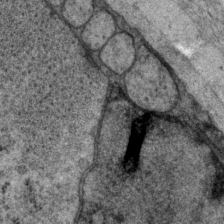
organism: P. pacificus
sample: Pharynx